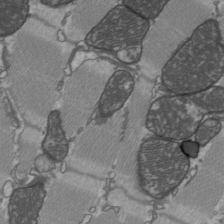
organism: C57BL Mouse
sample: Heart